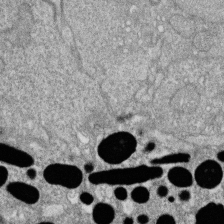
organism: Zebrafish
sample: Cilia; retinal pigment epithelium